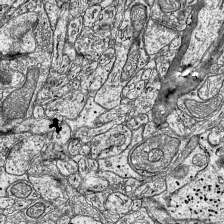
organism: Mouse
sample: Visual Cortex